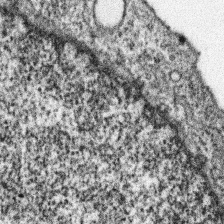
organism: Human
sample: HeLa cells